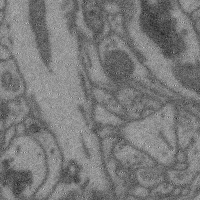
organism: Mouse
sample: Cerebral cortex